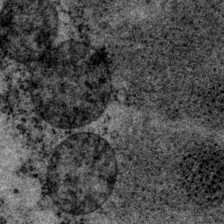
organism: P. pacificus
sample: Pharynx